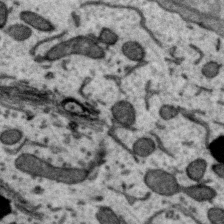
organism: Zebra finch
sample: Brain